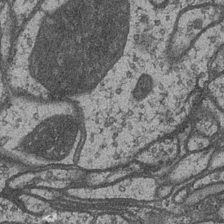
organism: Drosophila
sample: Optic medulla